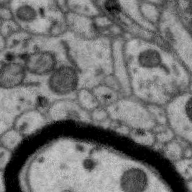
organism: Zebra finch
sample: Brain